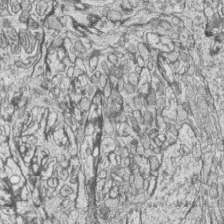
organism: Zebrafish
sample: synaptic ribbons in rod cells and cone cells